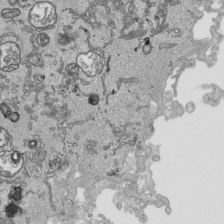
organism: Human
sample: Mitochondria in HCT116 cells